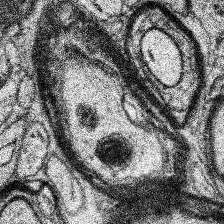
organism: Human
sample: Temporal Lobe